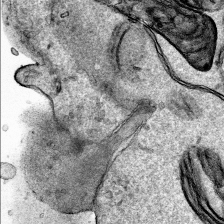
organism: Human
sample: Mitochondria in HCT116 cells